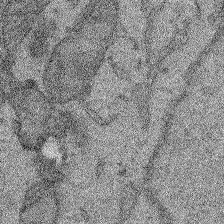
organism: Human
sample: HeLa cells